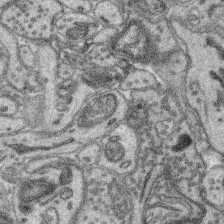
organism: Mouse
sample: Retina